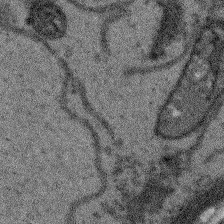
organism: Arabidopsis thaliana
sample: Root tip